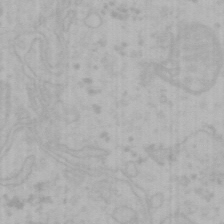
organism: Mouse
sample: Choroid plexus